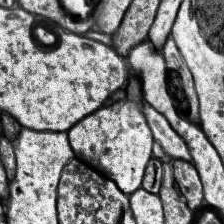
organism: Human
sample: Temporal Lobe